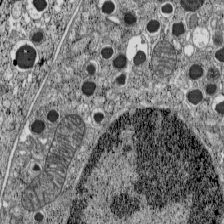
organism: C57BL Mouse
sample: Pancreatic islet